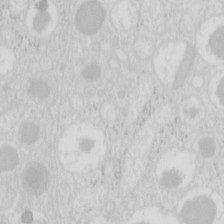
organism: Mouse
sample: Pancreas